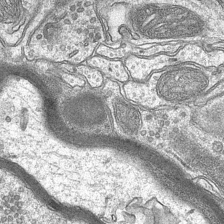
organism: Mouse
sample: CA1 Hippocampus